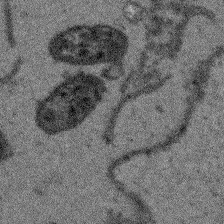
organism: Arabidopsis thaliana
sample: Root tip